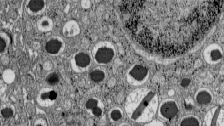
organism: C57BL Mouse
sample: Pancreatic islet